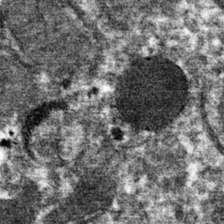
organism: Mouse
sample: Mouse hepatocytes